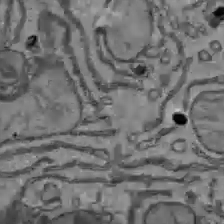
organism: C57BL Mouse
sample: Liver